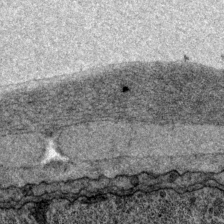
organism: P. pacificus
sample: Pharynx